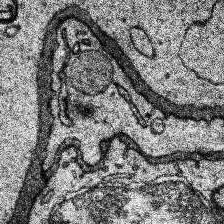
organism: Human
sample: Temporal Lobe